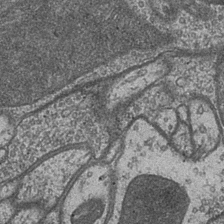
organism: Drosophila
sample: Optic medulla